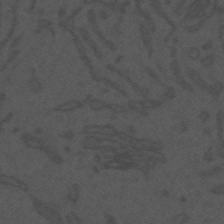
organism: Mouse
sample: Suprachiasmatic nucleus